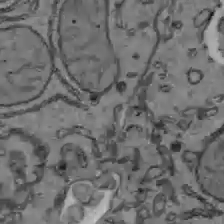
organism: C57BL Mouse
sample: Liver